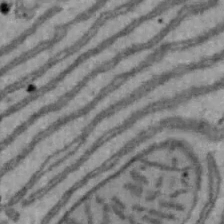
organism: Mouse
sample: Liver